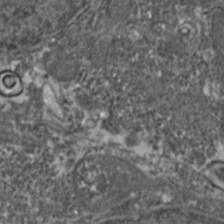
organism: Zebrafish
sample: Zebrafish embryo